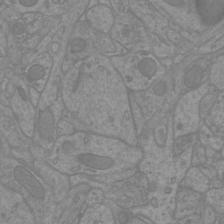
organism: Mouse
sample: Cortical neurons